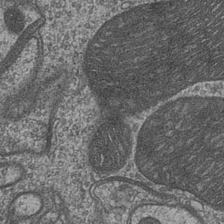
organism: Drosophila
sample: Optic medulla